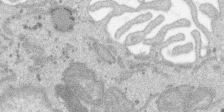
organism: Human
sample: Lung epithelial cells infected with SARS-CoV-2